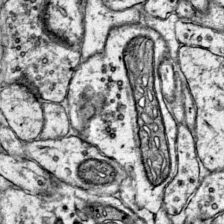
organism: Mouse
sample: Primary visual cortex